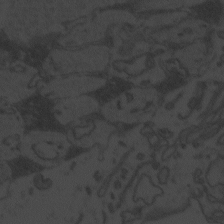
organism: Zebrafish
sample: Macrophage infected with Toxoplasma gondii